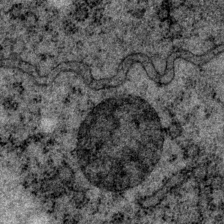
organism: P. pacificus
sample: Pharynx